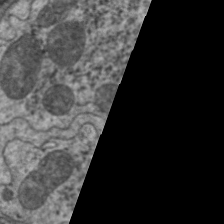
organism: C. elegans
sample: Pharynx